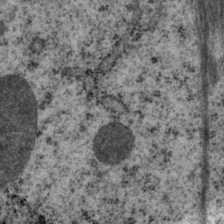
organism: P. pacificus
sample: Pharynx